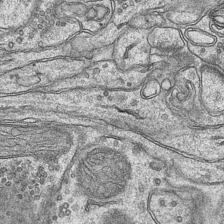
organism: Mouse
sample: CA1 Hippocampus